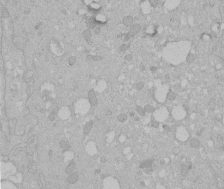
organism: Human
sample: Melanocyte Keratinocyte synapse skin construct